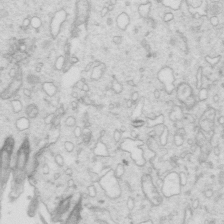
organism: Mouse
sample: Multiciliated cells